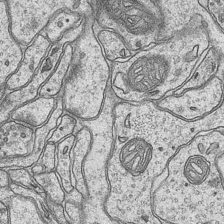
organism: Mouse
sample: CA1 Hippocampus